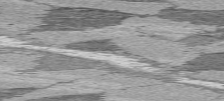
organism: C57BL Mouse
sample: Heart